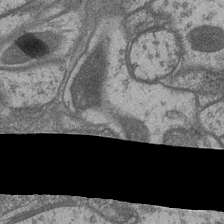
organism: Drosophila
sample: Optic medulla